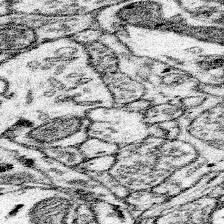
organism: Mouse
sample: Somatosensory cortex neuropil